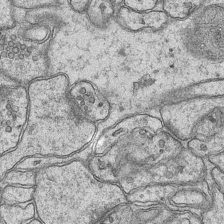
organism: Mouse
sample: CA1 Hippocampus